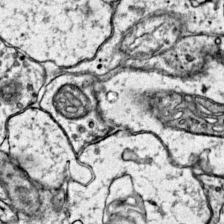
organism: Mouse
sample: Primary visual cortex